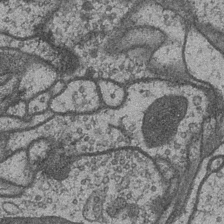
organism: Drosophila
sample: Optic medulla